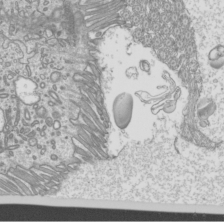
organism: Mouse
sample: Cilia; mouse epididymis